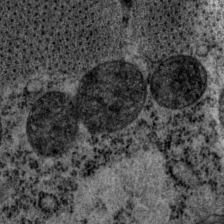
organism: P. pacificus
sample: Pharynx